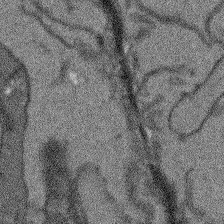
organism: Arabidopsis thaliana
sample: Root tip